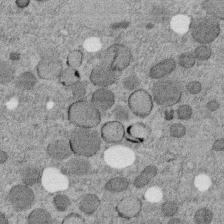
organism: C. elegans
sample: C. elegans embryo early stage